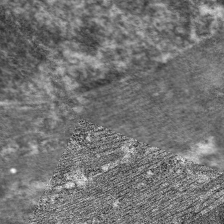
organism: C. elegans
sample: Pharynx